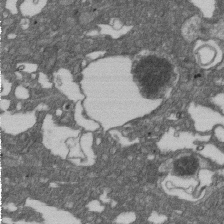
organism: Drosophila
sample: Nephrocyte